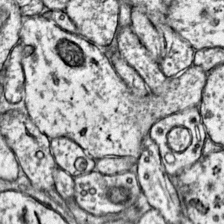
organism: Mouse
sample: Primary visual cortex